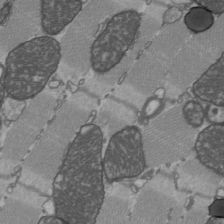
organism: C57BL Mouse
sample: Heart